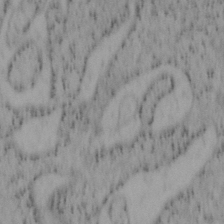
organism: Mouse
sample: OT-I killer T cells with ID8 ovarian cancer cells